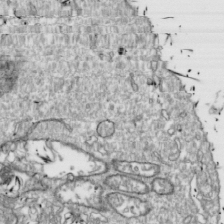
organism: Drosophila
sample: Cell division; meiosis; drosophila spermatocytes